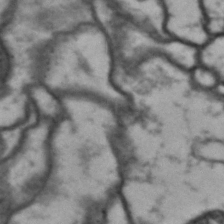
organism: Drosophila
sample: Brain